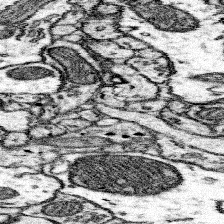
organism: Mouse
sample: Somatosensory cortex neuropil